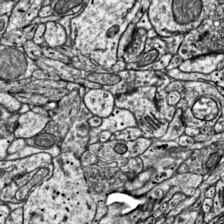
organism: Mouse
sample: Visual Cortex